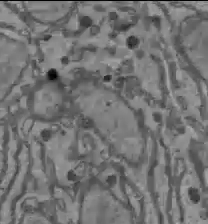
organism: C57BL Mouse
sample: Liver